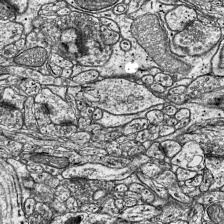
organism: Mouse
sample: Visual Cortex